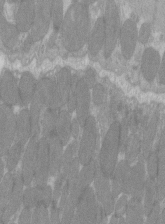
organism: C57BL Mouse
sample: Tibialis anterior muscle cell